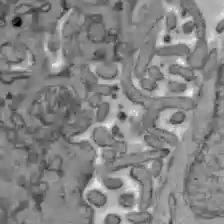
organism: C57BL Mouse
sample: Liver